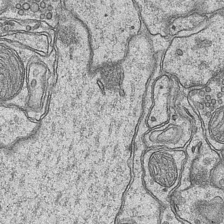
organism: Mouse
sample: CA1 Hippocampus